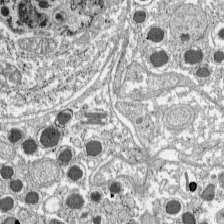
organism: C57BL Mouse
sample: Pancreatic islet